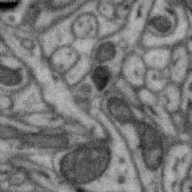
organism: Zebra finch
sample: Brain